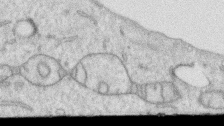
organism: Human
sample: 1205lu cells